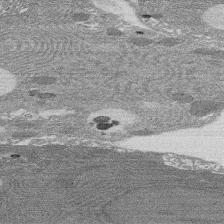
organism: Rat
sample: Salivary granule